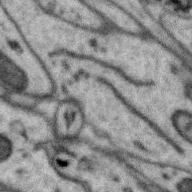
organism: Zebra finch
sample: Brain